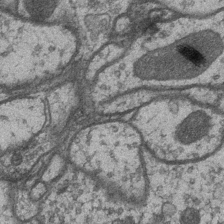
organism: Drosophila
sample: Optic medulla